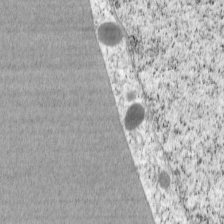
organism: African green monkey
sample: COS-7 cells